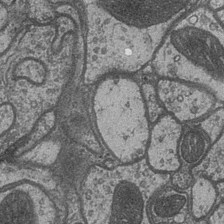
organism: Drosophila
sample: Optic medulla